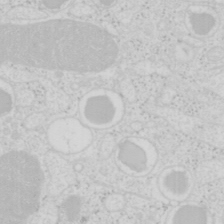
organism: Mouse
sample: Pancreas